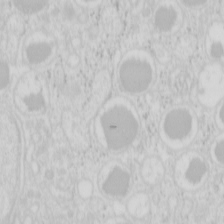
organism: Mouse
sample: Pancreas